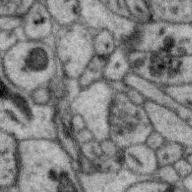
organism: Zebra finch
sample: Brain